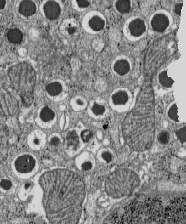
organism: C57BL Mouse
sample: Pancreatic islet